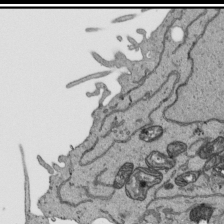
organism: Human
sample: Mitochondria in HCT116 cells